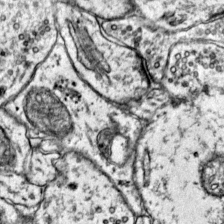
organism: Mouse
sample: Primary visual cortex